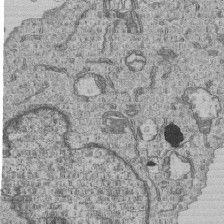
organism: Human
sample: MDA-MB-231 cells